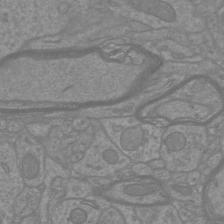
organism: Mouse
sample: Cortical neurons